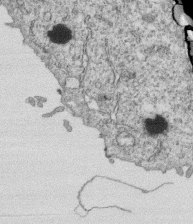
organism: Human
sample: HeLa cell HIV synapse